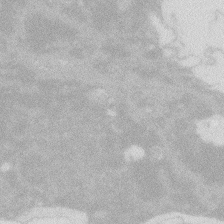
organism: Zebrafish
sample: Macrophage